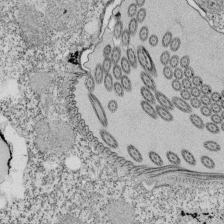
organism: Tetrahymena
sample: Cilia in tetrahymena